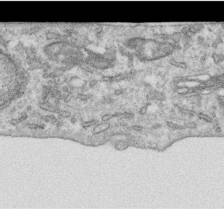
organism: Human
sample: Centriole in RPE cells